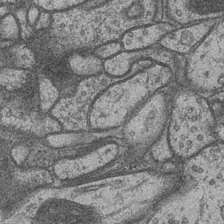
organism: Drosophila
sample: Optic medulla